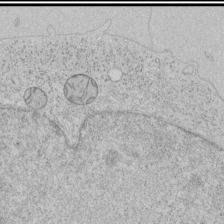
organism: Human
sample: Mitochondria in HCT116 cells